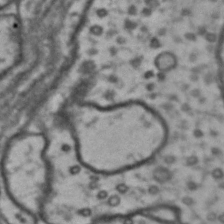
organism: Drosophila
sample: Brain